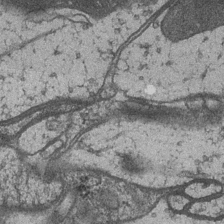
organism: Drosophila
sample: Optic medulla